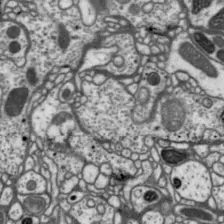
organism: Drosophila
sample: Protocerebral bridge